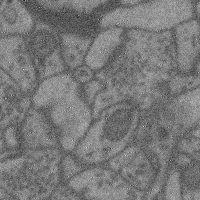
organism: Mouse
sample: Cerebral cortex